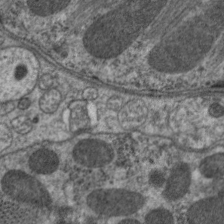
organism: C. elegans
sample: Pharynx